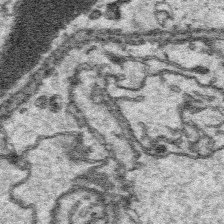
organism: Platynereis dumerilii